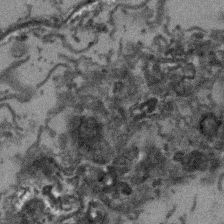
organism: Arabidopsis thaliana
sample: Root tip